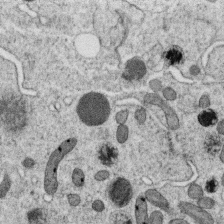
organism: C. elegans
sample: C. elegans oocyte; sperm cells